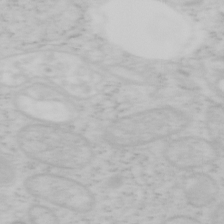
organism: Mouse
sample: OT-I killer T cells with ID8 ovarian cancer cells